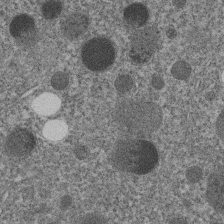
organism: C. elegans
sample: C. elegans embryo early stage